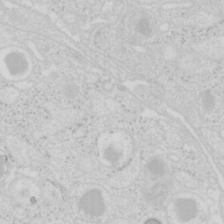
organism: Mouse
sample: Pancreas